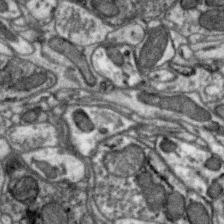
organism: Zebra finch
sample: Brain